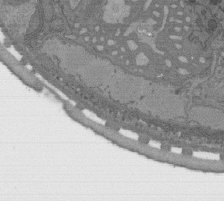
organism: C. elegans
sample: AFD neurons C. elegans